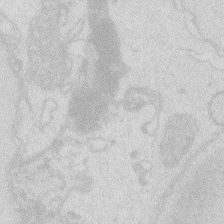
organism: Zebrafish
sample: Macrophage